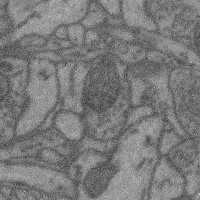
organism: Mouse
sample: Cerebral cortex